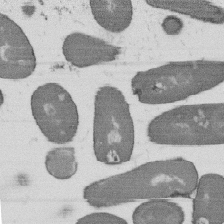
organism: B. subtilis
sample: Bacterial spore